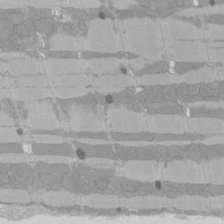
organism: Rat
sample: Left ventricle